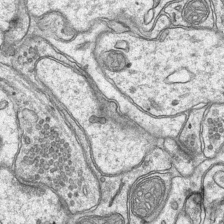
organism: Mouse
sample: CA1 Hippocampus